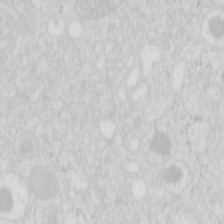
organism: Mouse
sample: Pancreas